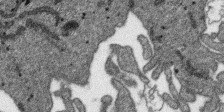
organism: Human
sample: Lung epithelial cells infected with SARS-CoV-2